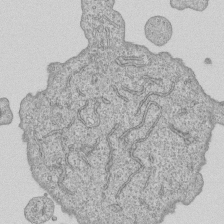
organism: Human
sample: MDA-MB-231 cells